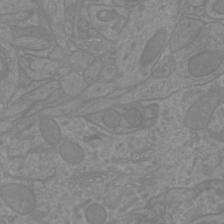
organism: Mouse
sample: Cortical neurons